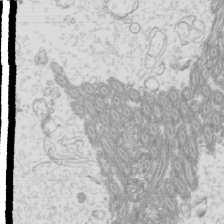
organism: Mouse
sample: Cilia; mouse epididymis